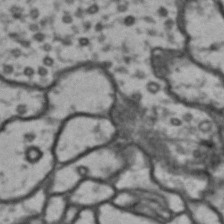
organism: Drosophila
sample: Brain